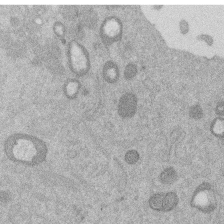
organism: Mouse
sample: Dividing mouse embryo 1 cell stage